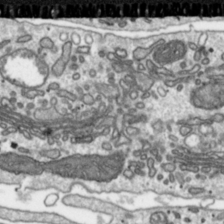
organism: Toxoplasma gondii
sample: Parasites in a vacuole inside a host cell